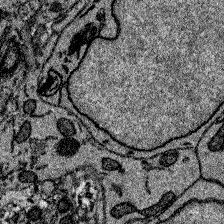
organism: Zebrafish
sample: Larval olfactory bulb